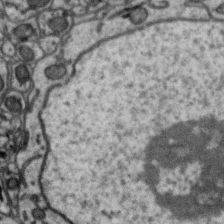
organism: Zebra finch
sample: Brain